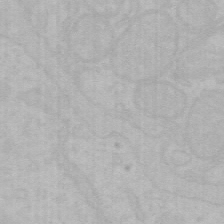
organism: Mouse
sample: Choroid plexus